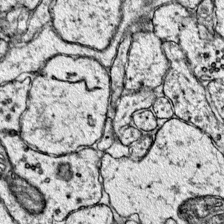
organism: Mouse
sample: Primary visual cortex